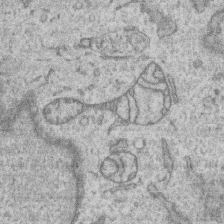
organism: Human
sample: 1205lu cells